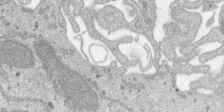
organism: Human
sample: Lung epithelial cells infected with SARS-CoV-2